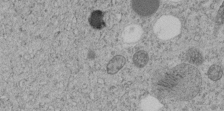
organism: C. elegans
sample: C. elegans embryo early stage